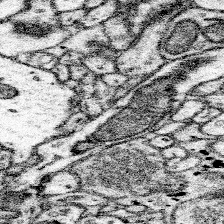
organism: Mouse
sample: Somatosensory cortex neuropil